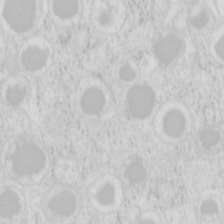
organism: Mouse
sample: Pancreas